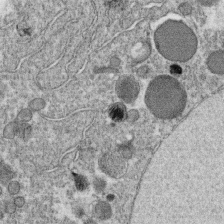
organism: C. elegans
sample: C. elegans oocyte; sperm cells